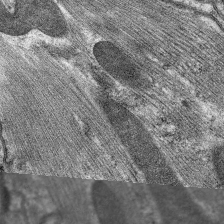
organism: C. elegans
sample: Pharynx